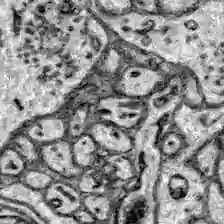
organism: Zebrafish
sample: Brain